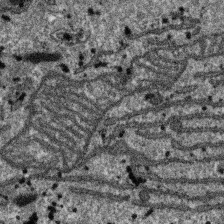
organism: Human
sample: Lung epithelial cells infected with SARS-CoV-2